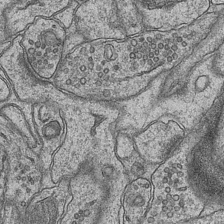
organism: Mouse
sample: CA1 Hippocampus